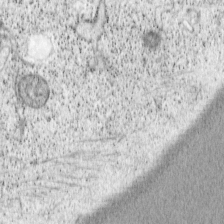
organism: African green monkey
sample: COS-7 cells